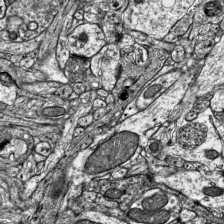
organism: Mouse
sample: Visual Cortex